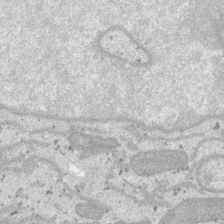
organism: Human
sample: Lung epithelial cells infected with SARS-CoV-2